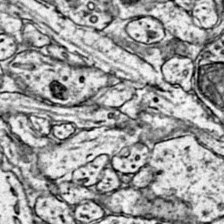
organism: Mouse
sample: Primary visual cortex